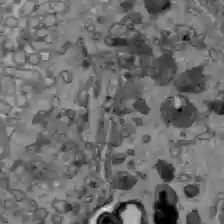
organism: C57BL Mouse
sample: Liver